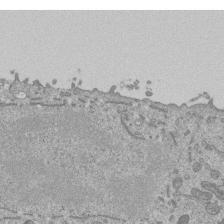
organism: Mouse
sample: ED-1 cell nuclei; centrioles